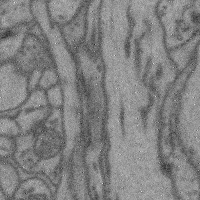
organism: Mouse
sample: Cerebral cortex